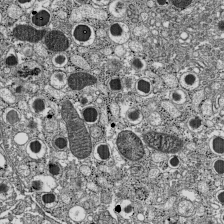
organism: C57BL Mouse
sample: Pancreatic islet